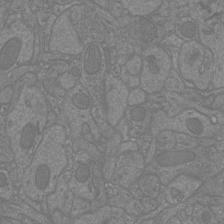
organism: Mouse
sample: Cortical neurons